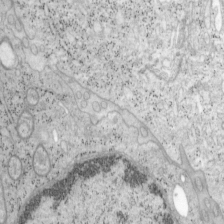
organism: Mouse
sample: OT-I killer T cells with ID8 ovarian cancer cells